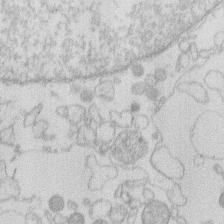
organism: Human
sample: Macrophage cells